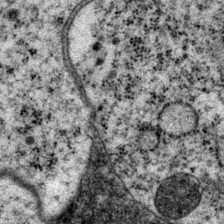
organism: P. pacificus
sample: Pharynx